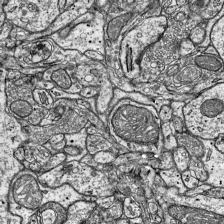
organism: Mouse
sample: Visual Cortex